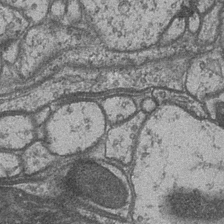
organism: Drosophila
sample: Optic medulla